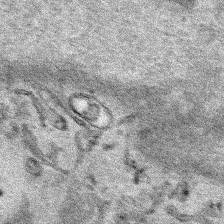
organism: Human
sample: Mitochondria in HCT116 cells